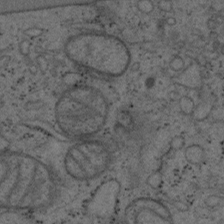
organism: Human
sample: HeLa cells